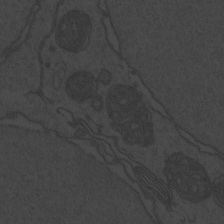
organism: Zebrafish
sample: Macrophage infected with Toxoplasma gondii